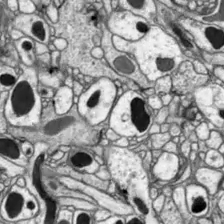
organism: Drosophila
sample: Optic lobe